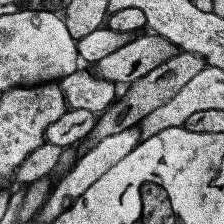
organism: Human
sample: Temporal Lobe